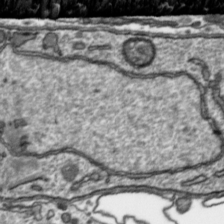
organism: Toxoplasma gondii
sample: Parasites in a vacuole inside a host cell